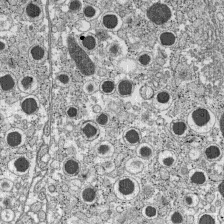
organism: C57BL Mouse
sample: Pancreatic islet